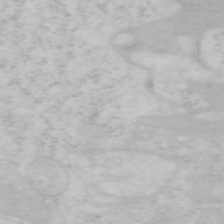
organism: Mouse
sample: OT-I killer T cells with ID8 ovarian cancer cells